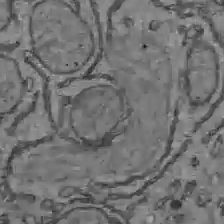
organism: C57BL Mouse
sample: Liver